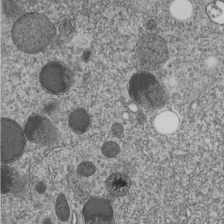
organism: C. elegans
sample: C. elegans embryo early stage